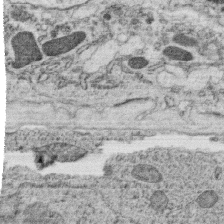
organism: C. elegans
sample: C. elegans oocyte; sperm cells